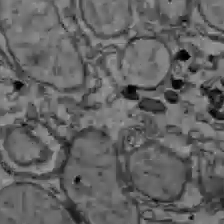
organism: C57BL Mouse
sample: Liver